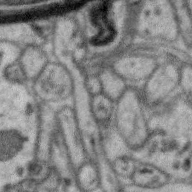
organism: Zebra finch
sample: Brain